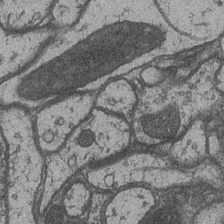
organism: Drosophila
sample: Optic medulla